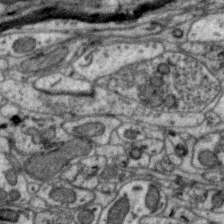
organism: Zebra finch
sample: Brain